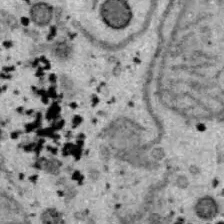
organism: Mouse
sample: Liver from an obese (ob/ob) mouse